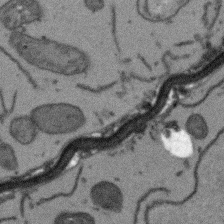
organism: Arabidopsis thaliana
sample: Root tip